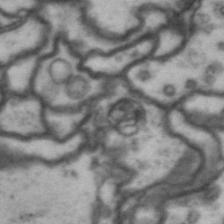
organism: Drosophila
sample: Brain